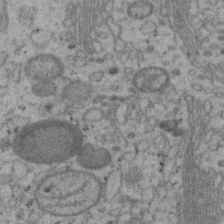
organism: Human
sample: HeLa cells